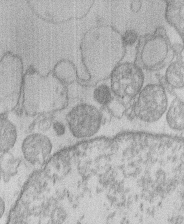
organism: Human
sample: Macrophage cells